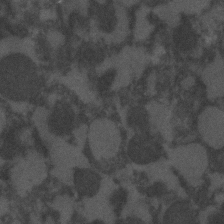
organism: C. elegans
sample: C. elegans embryo